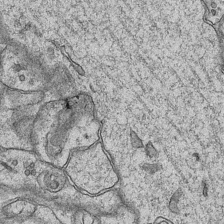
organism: Mouse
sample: CA1 Hippocampus